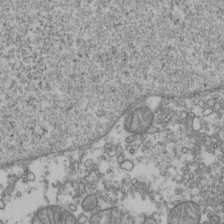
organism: Human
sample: Activated Jurkat CD4+ T cells